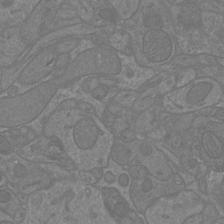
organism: Mouse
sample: Cortical neurons